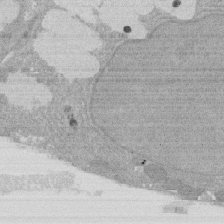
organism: Rat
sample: Salivary granule